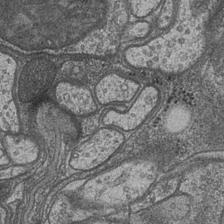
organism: Drosophila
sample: Optic medulla